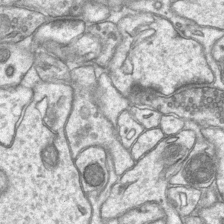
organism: Mouse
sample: CA1 Hippocampus